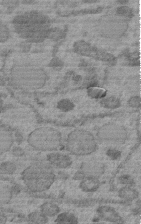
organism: C. elegans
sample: C. elegans embryo early stage